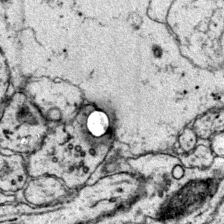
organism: Mouse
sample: Primary visual cortex